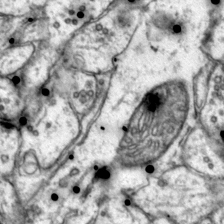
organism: Mouse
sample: Primary visual cortex